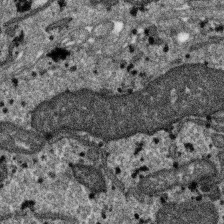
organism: Human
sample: Lung epithelial cells infected with SARS-CoV-2